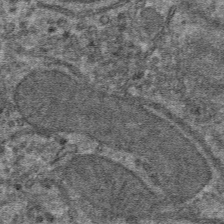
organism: Mouse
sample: Mouse hepatocytes